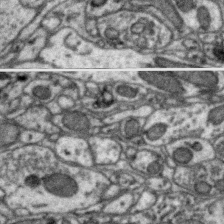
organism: Zebra finch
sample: Brain